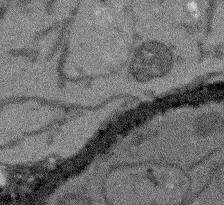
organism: Arabidopsis thaliana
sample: Root tip